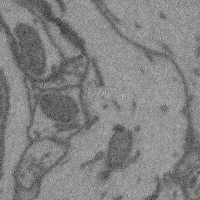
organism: Mouse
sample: Cerebral cortex